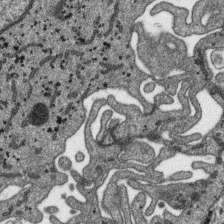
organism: Human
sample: Lung epithelial cells infected with SARS-CoV-2